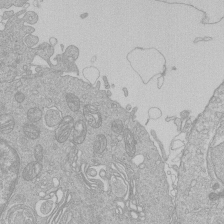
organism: Human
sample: Macrophage cells